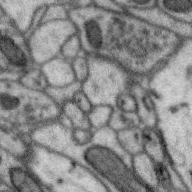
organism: Zebra finch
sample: Brain